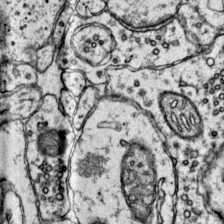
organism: Mouse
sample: Primary visual cortex